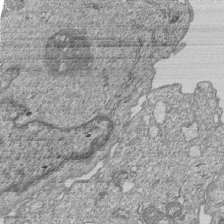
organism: Human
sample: MDA-MB-231 cells